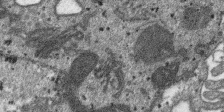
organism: Human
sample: Lung epithelial cells infected with SARS-CoV-2